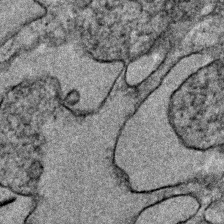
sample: Trachea